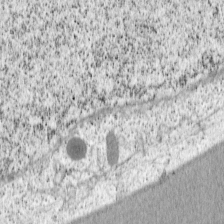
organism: African green monkey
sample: COS-7 cells